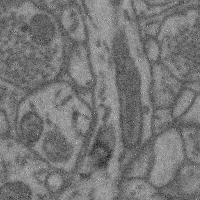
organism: Mouse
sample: Cerebral cortex